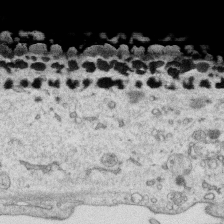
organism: Human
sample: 1205lu cells